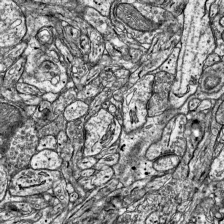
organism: Mouse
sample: Visual Cortex